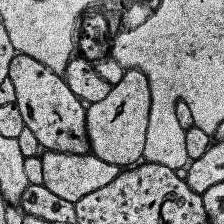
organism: Human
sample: Temporal Lobe